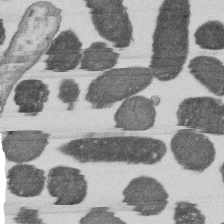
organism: E. coli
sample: Bacterial nucleoid